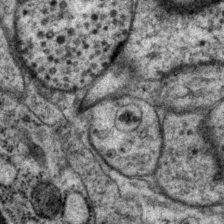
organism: P. pacificus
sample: Pharynx